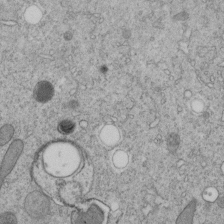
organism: C. elegans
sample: C. elegans embryo early stage